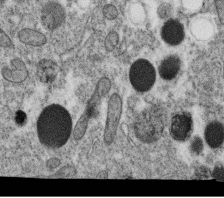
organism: C. elegans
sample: C. elegans oocyte; sperm cells